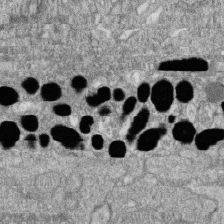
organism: Zebrafish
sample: Cilia; retinal pigment epithelium